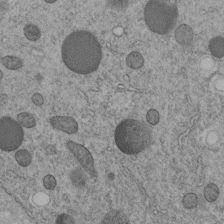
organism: C. elegans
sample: C. elegans embryo early stage